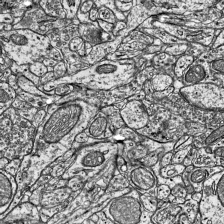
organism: Mouse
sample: Visual Cortex